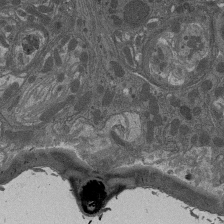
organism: Drosophila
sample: Antenna